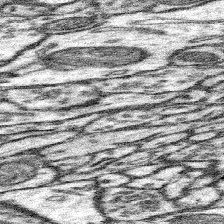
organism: Mouse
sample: Somatosensory cortex neuropil